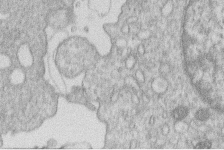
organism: Human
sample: Macrophage cells